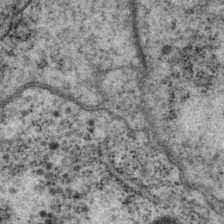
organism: P. pacificus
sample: Pharynx